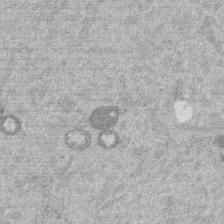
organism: Mouse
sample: Dividing mouse embryo 1 cell stage